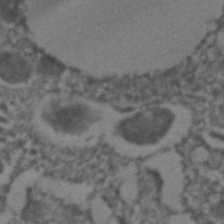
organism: C. elegans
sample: C. elegans embryo